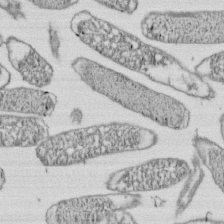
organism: E. coli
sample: Bacterial nucleoid